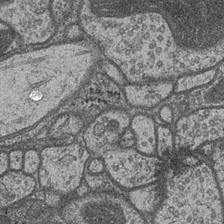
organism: Drosophila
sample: Optic medulla